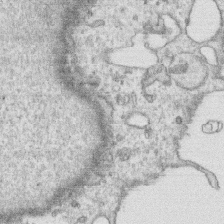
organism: Human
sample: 1205lu cells